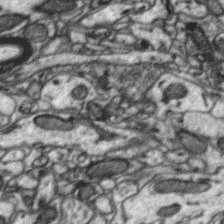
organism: Zebra finch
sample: Brain